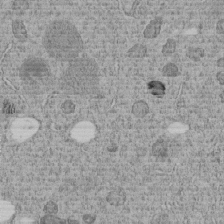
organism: C. elegans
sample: C. elegans embryo early stage